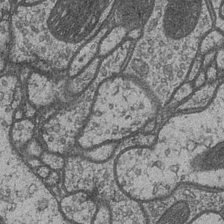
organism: Drosophila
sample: Optic medulla